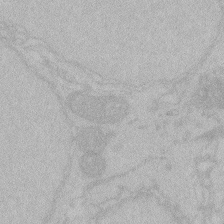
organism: Zebrafish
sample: Macrophage infected with Toxoplasma gondii